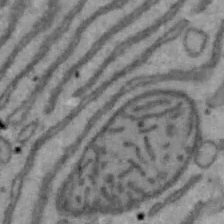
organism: Mouse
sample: Liver